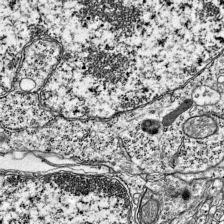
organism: Mouse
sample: Visual Cortex